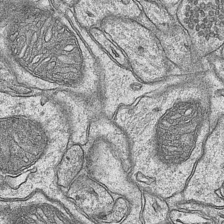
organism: Mouse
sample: CA1 Hippocampus